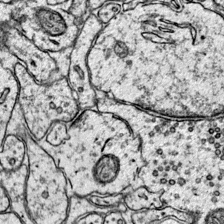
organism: Mouse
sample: Primary visual cortex